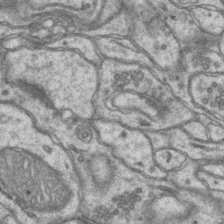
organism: Mouse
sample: CA1 Hippocampus